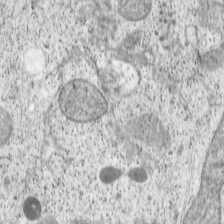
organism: African green monkey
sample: COS-7 cells